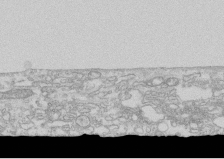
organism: Human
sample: CRL-1474